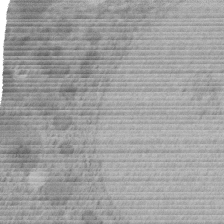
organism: C. elegans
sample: C. elegans embryo early stage